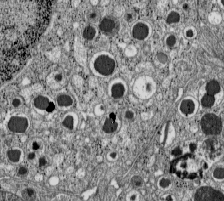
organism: C57BL Mouse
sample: Pancreatic islet